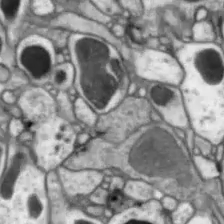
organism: Drosophila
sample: Optic lobe